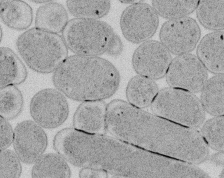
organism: E. coli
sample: Bacterial nucleoid